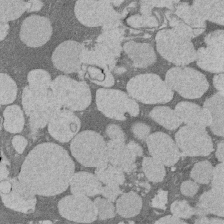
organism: Rat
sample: Salivary granule